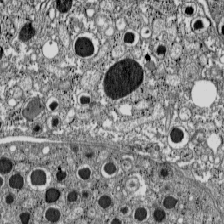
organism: C57BL Mouse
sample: Pancreatic islet